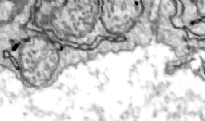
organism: Zebrafish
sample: Actinotrichia fibers